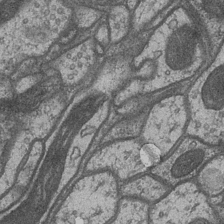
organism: Drosophila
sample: Optic medulla